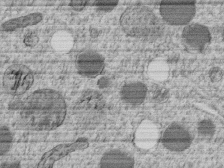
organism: C. elegans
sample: C. elegans embryo early stage